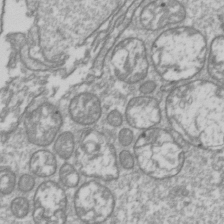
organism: Drosophila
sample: Cell division; meiosis; drosophila spermatocytes